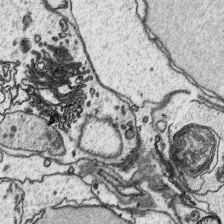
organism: Platynereis dumerilii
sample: Parapodia